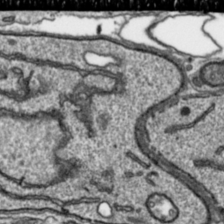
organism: Toxoplasma gondii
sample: Parasites in a vacuole inside a host cell